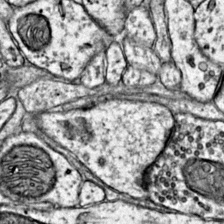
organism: Mouse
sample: Primary visual cortex